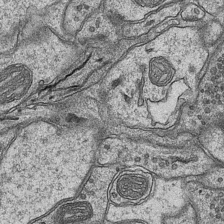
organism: Mouse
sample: CA1 Hippocampus